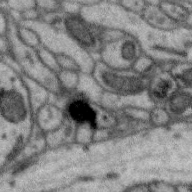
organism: Zebra finch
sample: Brain